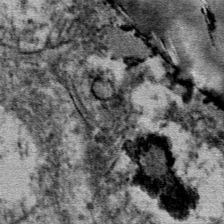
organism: Mouse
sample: Mouse Salivary gland